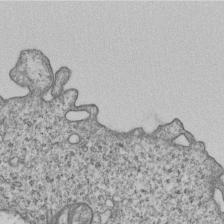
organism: Human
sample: MDA-MB-231 cells